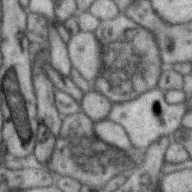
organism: Zebra finch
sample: Brain